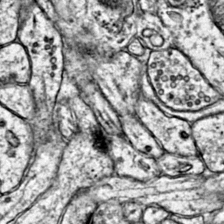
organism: Mouse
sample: Primary visual cortex